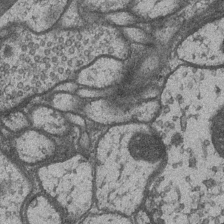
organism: Drosophila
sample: Optic medulla